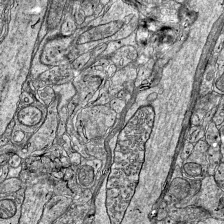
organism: Mouse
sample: Visual Cortex